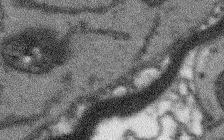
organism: Arabidopsis thaliana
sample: Root tip